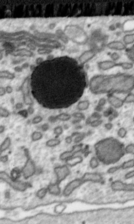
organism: Toxoplasma gondii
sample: Parasites in a vacuole inside a host cell